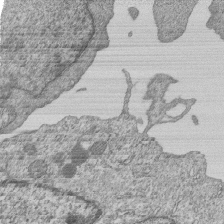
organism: Human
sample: MDA-MB-231 cells